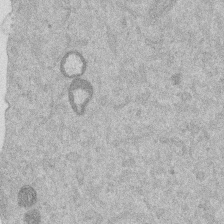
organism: Mouse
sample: Dividing mouse embryo 1 cell stage